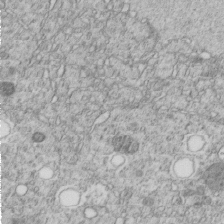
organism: C. elegans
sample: C. elegans embryo early stage